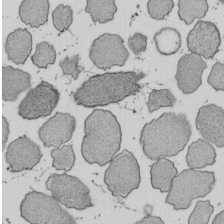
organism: E. coli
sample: Bacterial nucleoid